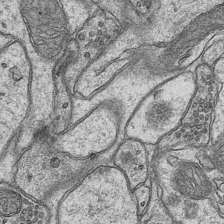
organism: Mouse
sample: CA1 Hippocampus